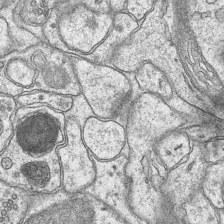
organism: Mouse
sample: CA1 Hippocampus